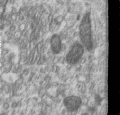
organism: Human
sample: Centriole in RPE cells